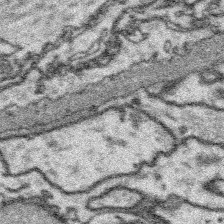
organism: Platynereis dumerilii